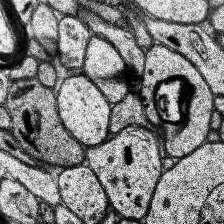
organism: Human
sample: Temporal Lobe